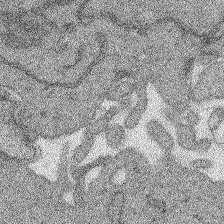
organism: Human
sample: HeLa cells